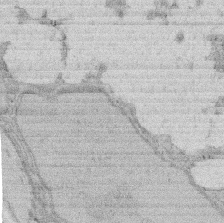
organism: Rat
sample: Salivary granule